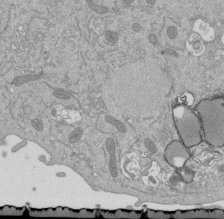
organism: Mouse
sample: ED-1 cell nuclei; centrioles